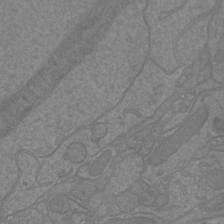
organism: Mouse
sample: Cortical neurons